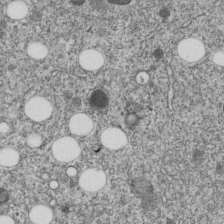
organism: C. elegans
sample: C. elegans embryo early stage